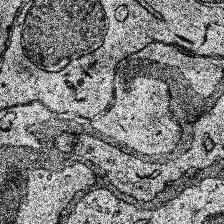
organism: Human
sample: Temporal Lobe